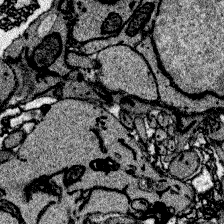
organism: Zebrafish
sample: Larval olfactory bulb